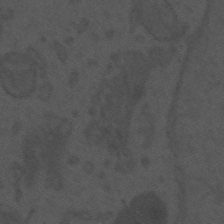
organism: Mouse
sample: Suprachiasmatic nucleus